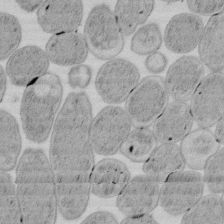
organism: E. coli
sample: Bacterial nucleoid